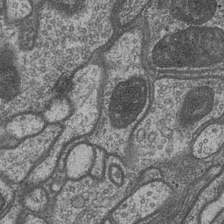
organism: Drosophila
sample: Optic medulla